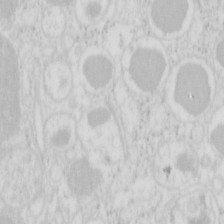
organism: Mouse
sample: Pancreas